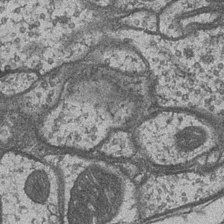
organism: Drosophila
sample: Optic medulla